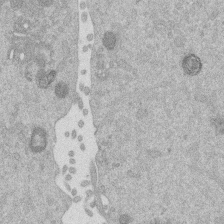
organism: Mouse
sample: Dividing mouse embryo 1 cell stage